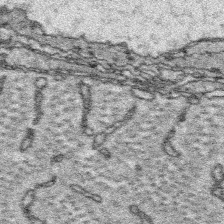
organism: Platynereis dumerilii